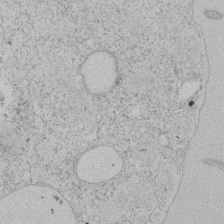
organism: Tetrahymena